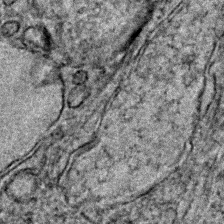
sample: Trachea